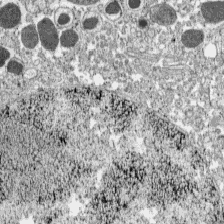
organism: C57BL Mouse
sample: Pancreatic islet